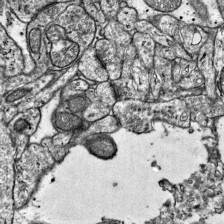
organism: Mouse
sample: Visual Cortex